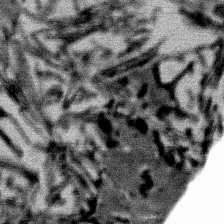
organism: Mouse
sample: Mouse Salivary gland